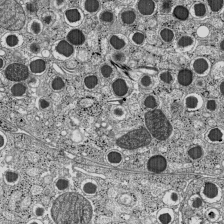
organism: C57BL Mouse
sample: Pancreatic islet